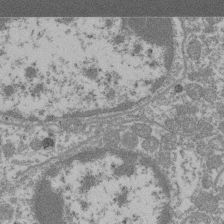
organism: Mouse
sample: Glomerulus